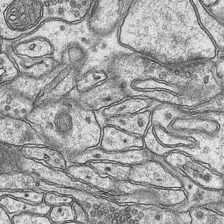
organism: Mouse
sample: CA1 Hippocampus